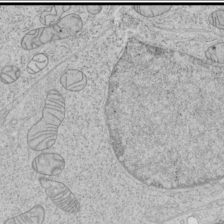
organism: Human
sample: Mitochondria in HCT116 cells